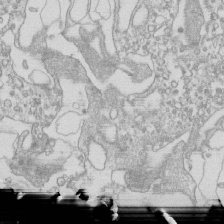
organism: Mouse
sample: Macrophages